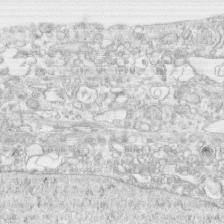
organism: Human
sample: CRL-1474